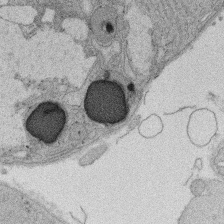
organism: Rat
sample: Salivary granule